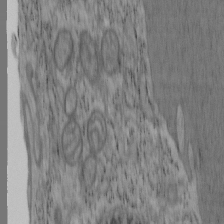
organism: Human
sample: HeLa cells